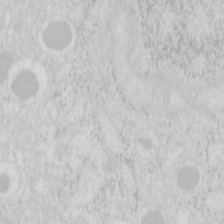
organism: Mouse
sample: Pancreas